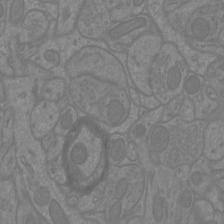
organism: Mouse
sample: Cortical neurons